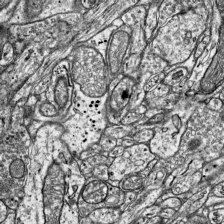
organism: Mouse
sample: Visual Cortex